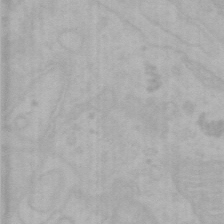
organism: Mouse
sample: Choroid plexus